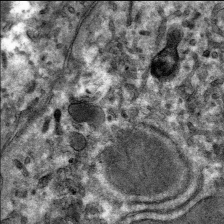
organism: Mouse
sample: Mouse hepatocytes